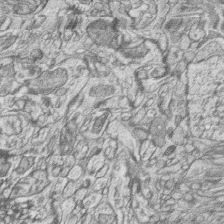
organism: Zebrafish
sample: synaptic ribbons in rod cells and cone cells